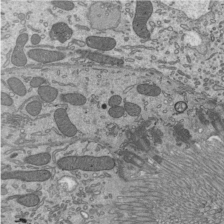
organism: Mouse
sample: Mouse epididymis efferent ductule cilia